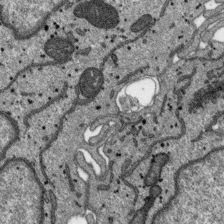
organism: Human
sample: Lung epithelial cells, uninfected (mock) control